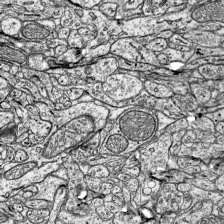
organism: Mouse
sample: Visual Cortex